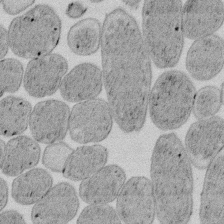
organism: E. coli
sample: Bacterial nucleoid